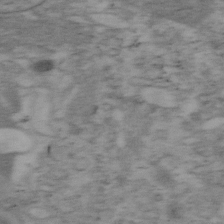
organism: Mouse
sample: OT-I killer T cells with ID8 ovarian cancer cells